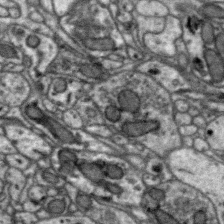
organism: Zebra finch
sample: Brain